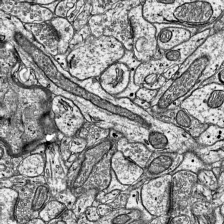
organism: Mouse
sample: Visual Cortex